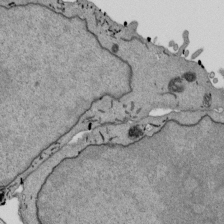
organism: Mouse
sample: ED-1 cell nuclei; centrioles